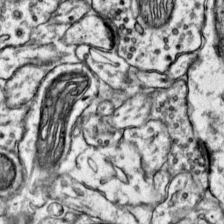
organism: Mouse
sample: Primary visual cortex